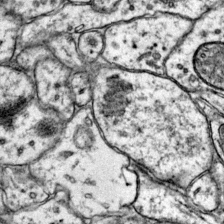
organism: Mouse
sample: Primary visual cortex